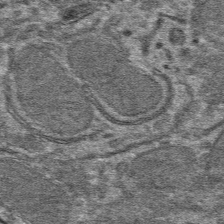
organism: Mouse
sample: Mouse hepatocytes